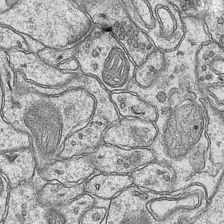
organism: Mouse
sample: CA1 Hippocampus